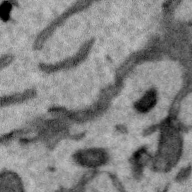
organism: Zebra finch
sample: Brain